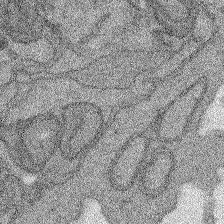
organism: Human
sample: HeLa cells